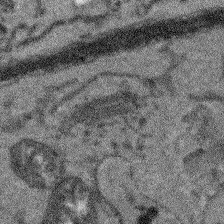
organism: Arabidopsis thaliana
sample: Root tip